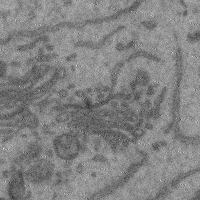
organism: Mouse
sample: Cerebral cortex